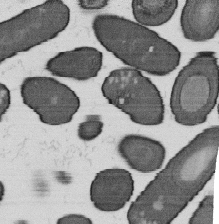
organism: B. subtilis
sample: Bacterial spore